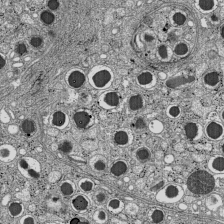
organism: C57BL Mouse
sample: Pancreatic islet